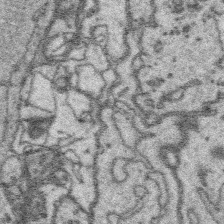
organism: Platynereis dumerilii